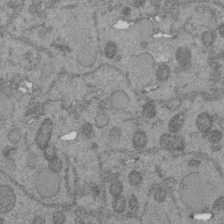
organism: C. elegans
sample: C. elegans embryo early stage